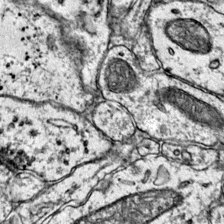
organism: Mouse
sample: Primary visual cortex